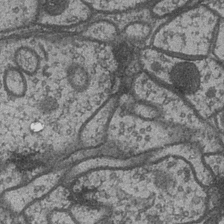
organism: Drosophila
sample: Optic medulla